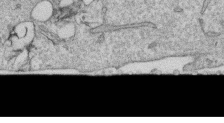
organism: Human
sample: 1205lu cells